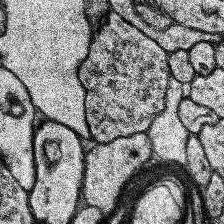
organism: Human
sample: Temporal Lobe